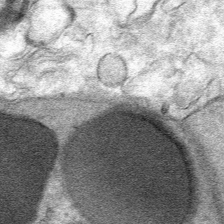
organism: Mouse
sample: Mouse Salivary gland